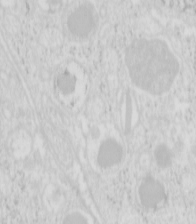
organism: Mouse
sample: Pancreas